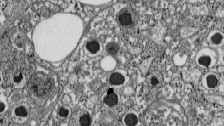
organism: C57BL Mouse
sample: Pancreatic islet